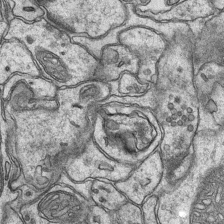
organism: Mouse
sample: CA1 Hippocampus